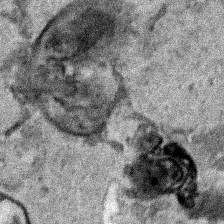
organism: Human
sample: Mitochondria in HCT116 cells